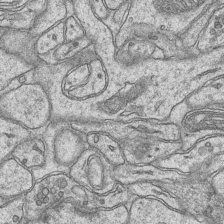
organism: Mouse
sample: CA1 Hippocampus